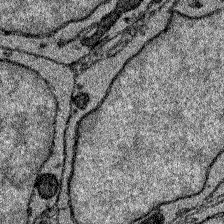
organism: Zebrafish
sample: Larval olfactory bulb